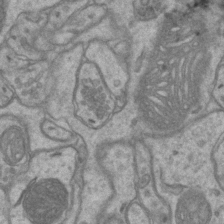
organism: Mouse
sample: CA1 Hippocampus